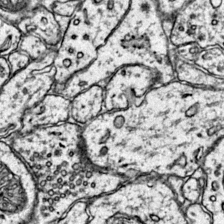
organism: Mouse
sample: Primary visual cortex